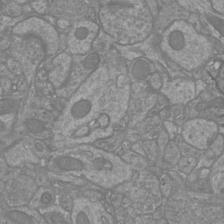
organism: Mouse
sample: Cortical neurons